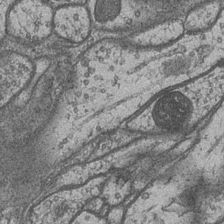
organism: Drosophila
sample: Optic medulla